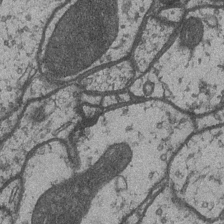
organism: Drosophila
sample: Optic medulla